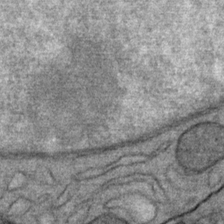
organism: Mouse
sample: Mouse Salivary gland